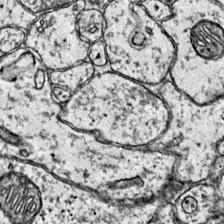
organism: Mouse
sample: Primary visual cortex